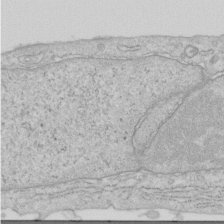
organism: Human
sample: Centriole in RPE cells